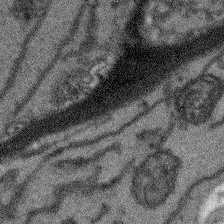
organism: Arabidopsis thaliana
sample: Root tip